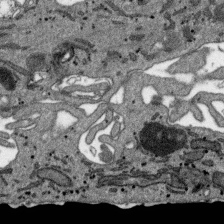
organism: Human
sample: Lung epithelial cells, uninfected (mock) control